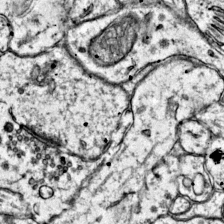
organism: Mouse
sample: Primary visual cortex